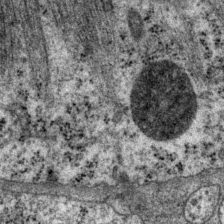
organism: P. pacificus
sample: Pharynx